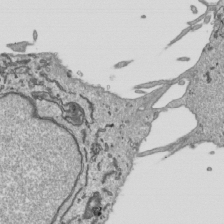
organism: Human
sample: Mitochondria in HCT116 cells